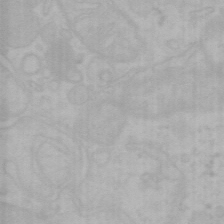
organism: Mouse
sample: Choroid plexus